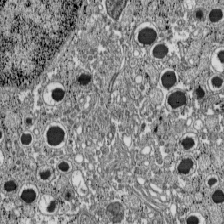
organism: C57BL Mouse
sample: Pancreatic islet